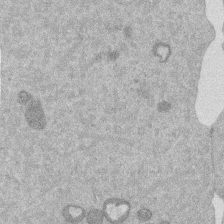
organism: Mouse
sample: Dividing mouse embryo 1 cell stage